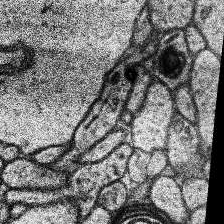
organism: Human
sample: Temporal Lobe